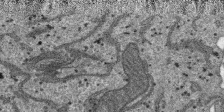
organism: Human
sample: Lung epithelial cells infected with SARS-CoV-2